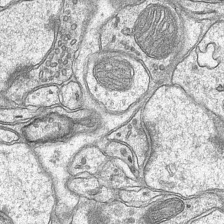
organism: Mouse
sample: CA1 Hippocampus